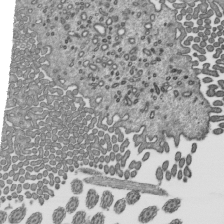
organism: Mouse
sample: Mouse epididymis efferent ductule cilia